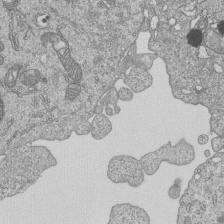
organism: Human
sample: MDA-MB-231 cells